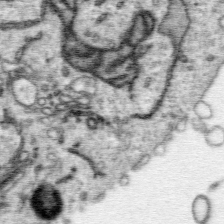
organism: Human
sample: HeLa cells